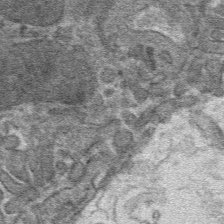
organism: Mouse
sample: Mouse hepatocytes